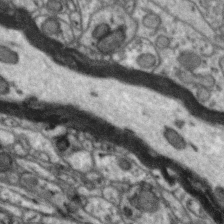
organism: Zebra finch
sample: Brain